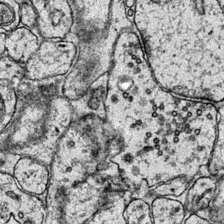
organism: Mouse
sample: Primary visual cortex